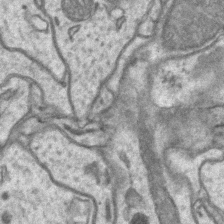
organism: Mouse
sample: CA1 Hippocampus